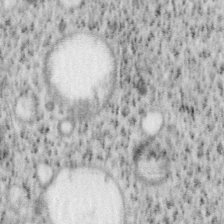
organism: Mouse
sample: OT-I killer T cells with ID8 ovarian cancer cells